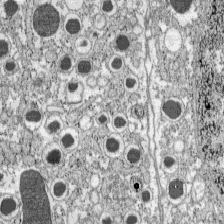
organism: C57BL Mouse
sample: Pancreatic islet